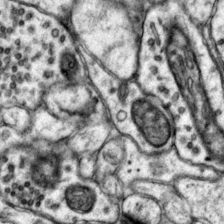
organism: Mouse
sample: Primary visual cortex